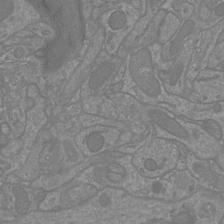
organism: Mouse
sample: Cortical neurons